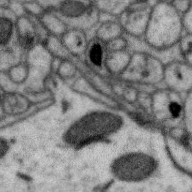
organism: Zebra finch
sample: Brain